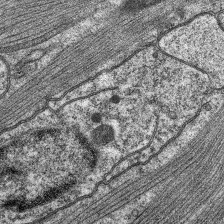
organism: C. elegans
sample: Pharynx